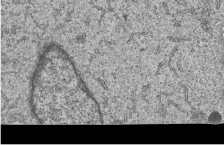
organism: Human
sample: MDA-MB-231 cells